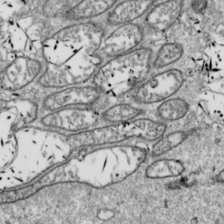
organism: Drosophila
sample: Cell division; meiosis; drosophila spermatocytes